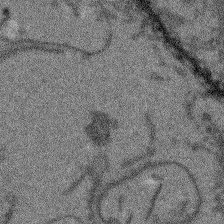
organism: Arabidopsis thaliana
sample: Root tip